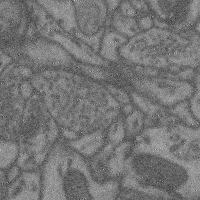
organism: Mouse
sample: Cerebral cortex